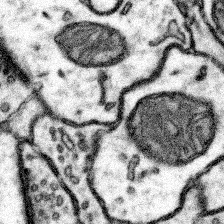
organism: Mouse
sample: Somatosensory cortex neuropil